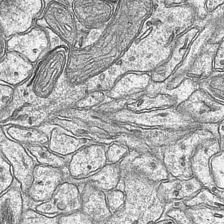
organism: Mouse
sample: CA1 Hippocampus